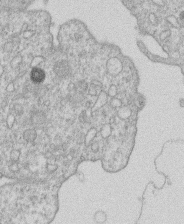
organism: Human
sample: Macrophage cells